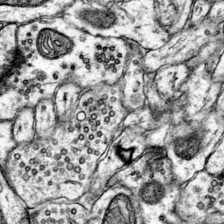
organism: Mouse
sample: Primary visual cortex